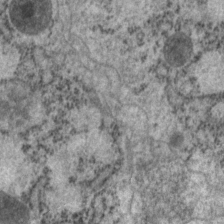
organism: P. pacificus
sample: Pharynx